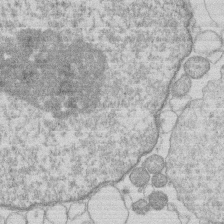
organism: Human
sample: Macrophage cells